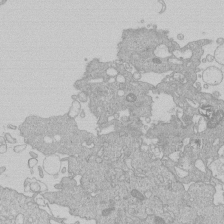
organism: Human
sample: Macrophage cells